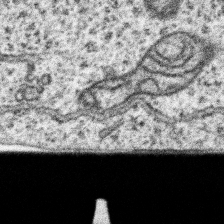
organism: Human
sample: HeLa cells